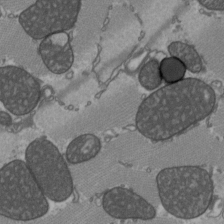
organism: C57BL Mouse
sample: Heart